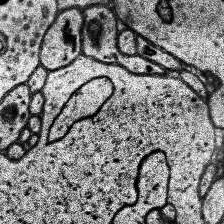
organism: Human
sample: Temporal Lobe